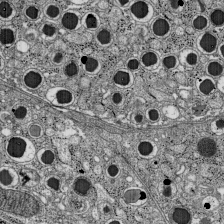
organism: C57BL Mouse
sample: Pancreatic islet